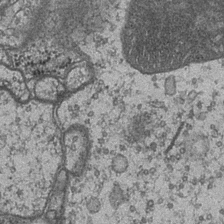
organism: Drosophila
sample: Optic medulla